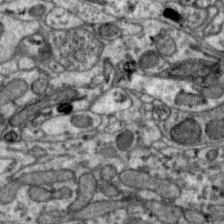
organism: Zebra finch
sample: Brain